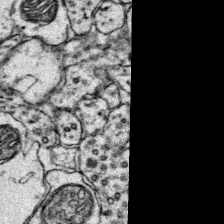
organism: Mouse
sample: Primary visual cortex